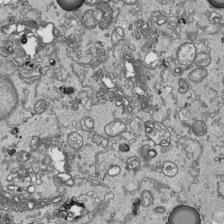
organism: Human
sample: Mitochondria in HCT116 cells